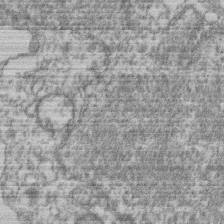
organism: Mouse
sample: T cell stromal cell synapse